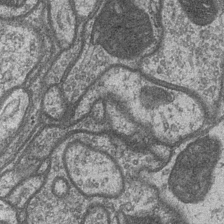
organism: Drosophila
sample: Optic medulla